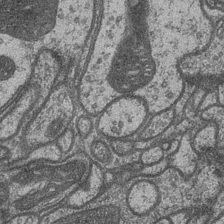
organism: Drosophila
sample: Optic medulla